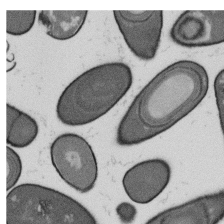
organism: B. subtilis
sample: Bacterial spore